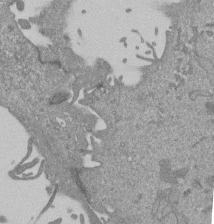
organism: Mouse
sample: ED-1 cell nuclei; centrioles